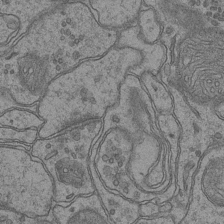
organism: Mouse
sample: CA1 Hippocampus